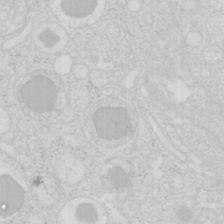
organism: Mouse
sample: Pancreas